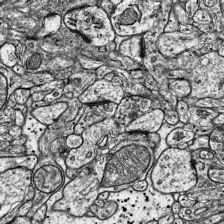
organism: Mouse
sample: Visual Cortex